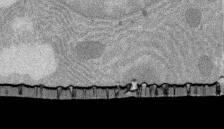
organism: Rat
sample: Salivary granule